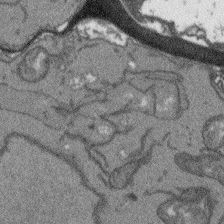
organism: Arabidopsis thaliana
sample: Root tip